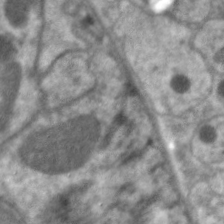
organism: C. elegans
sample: Pharynx